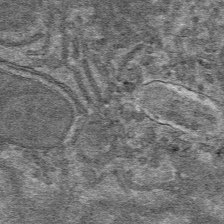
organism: Mouse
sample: Mouse hepatocytes